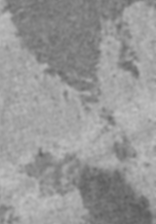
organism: C57BL Mouse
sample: Heart